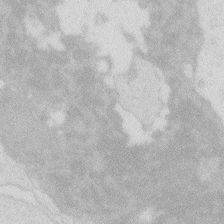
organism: Zebrafish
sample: Macrophage